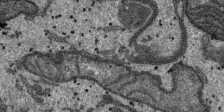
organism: Human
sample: Lung epithelial cells, uninfected (mock) control